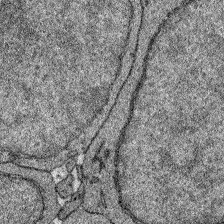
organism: Zebrafish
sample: Larval olfactory bulb